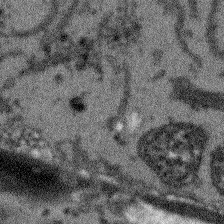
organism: Arabidopsis thaliana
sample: Root tip